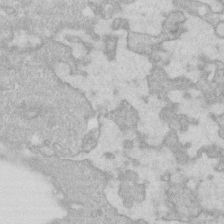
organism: Human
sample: Fibroblast cells